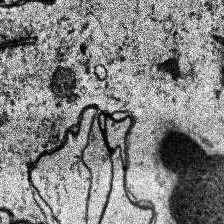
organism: Human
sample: Temporal Lobe